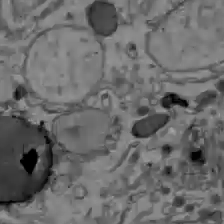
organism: C57BL Mouse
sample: Liver